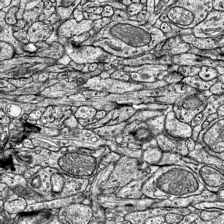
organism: Mouse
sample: Visual Cortex